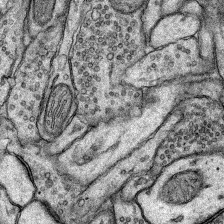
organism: Rat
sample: Hippocampus